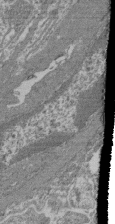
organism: Mouse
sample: Glomerulus